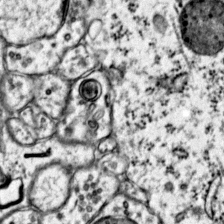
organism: Mouse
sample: Primary visual cortex